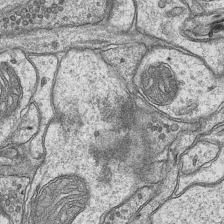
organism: Mouse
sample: CA1 Hippocampus